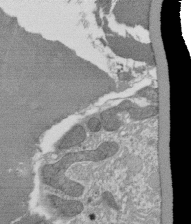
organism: Tetrahymena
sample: Cilia in tetrahymena